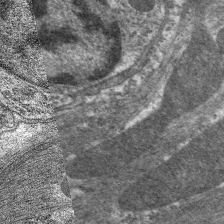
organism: C. elegans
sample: Pharynx